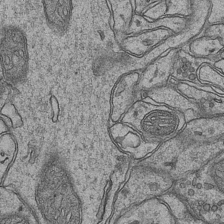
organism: Mouse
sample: CA1 Hippocampus